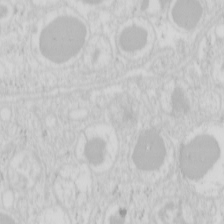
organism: Mouse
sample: Pancreas